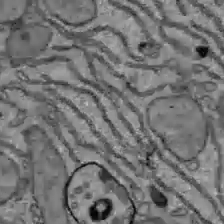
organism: C57BL Mouse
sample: Liver